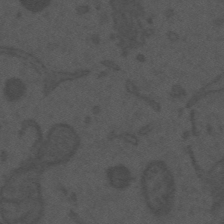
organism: Mouse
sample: Suprachiasmatic nucleus